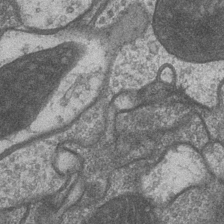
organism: Drosophila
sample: Optic medulla